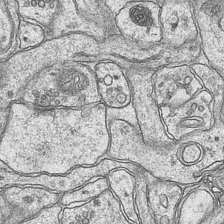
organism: Mouse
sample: CA1 Hippocampus